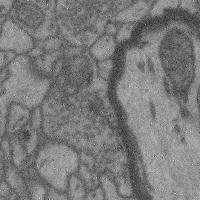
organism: Mouse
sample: Cerebral cortex